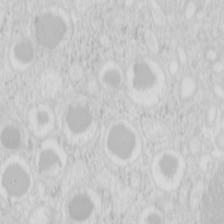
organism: Mouse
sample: Pancreas